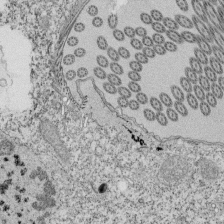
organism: Tetrahymena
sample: Cilia in tetrahymena